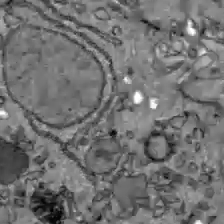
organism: C57BL Mouse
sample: Liver